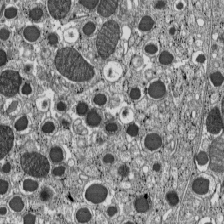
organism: C57BL Mouse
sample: Pancreatic islet